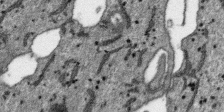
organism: Human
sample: Lung epithelial cells, uninfected (mock) control